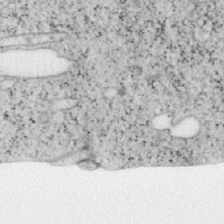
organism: Mouse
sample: OT-I killer T cells with ID8 ovarian cancer cells